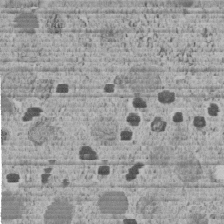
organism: C. elegans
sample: C. elegans embryo early stage